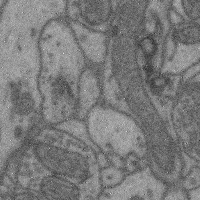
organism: Mouse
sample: Cerebral cortex